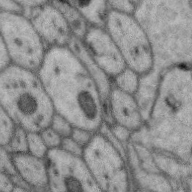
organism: Zebra finch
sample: Brain